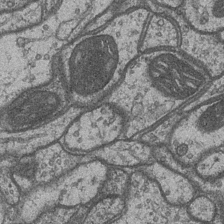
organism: Drosophila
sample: Optic medulla